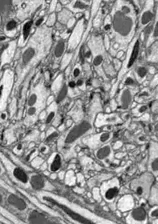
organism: Drosophila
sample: Optic lobe